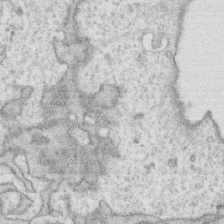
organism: Human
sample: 1205lu cells